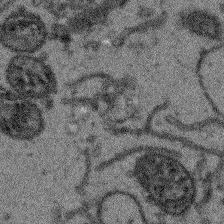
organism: Arabidopsis thaliana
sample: Root tip